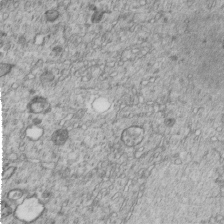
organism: C. elegans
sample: C. elegans embryo early stage